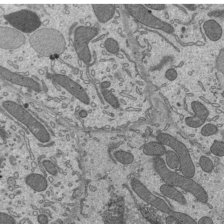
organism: Mouse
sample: Mouse epididymis efferent ductule cilia